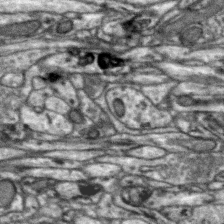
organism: Zebra finch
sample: Brain